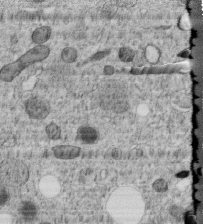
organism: C. elegans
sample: C. elegans embryo early stage